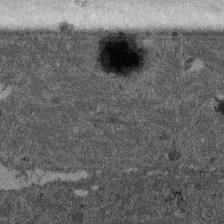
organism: Mouse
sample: Dividing mouse embryo 1 cell stage